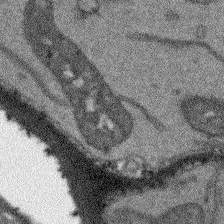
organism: Arabidopsis thaliana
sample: Root tip